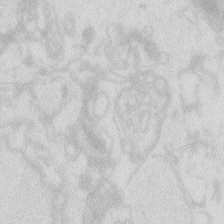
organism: Zebrafish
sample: Macrophage